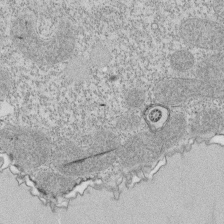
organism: Tetrahymena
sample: Cilia in tetrahymena